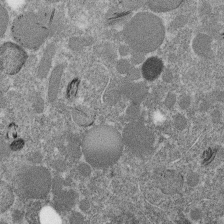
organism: C. elegans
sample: C. elegans embryo early stage